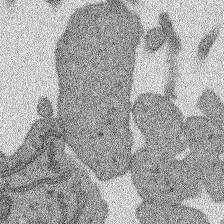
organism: Human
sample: HeLa cells